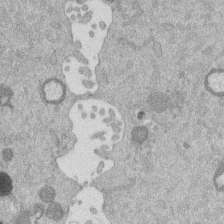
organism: Mouse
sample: Dividing mouse embryo 1 cell stage